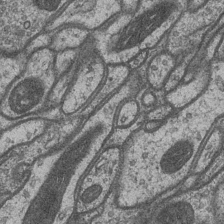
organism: Drosophila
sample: Optic medulla